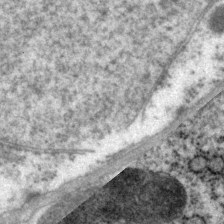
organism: P. pacificus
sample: Pharynx